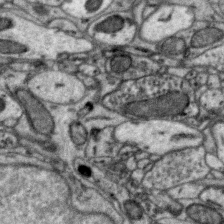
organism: Zebra finch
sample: Brain